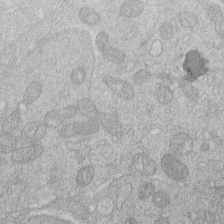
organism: Human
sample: Macrophage cells